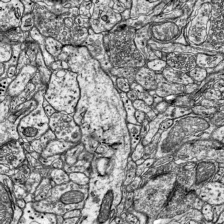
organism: Mouse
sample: Visual Cortex